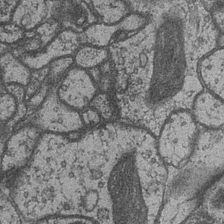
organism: Drosophila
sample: Optic medulla